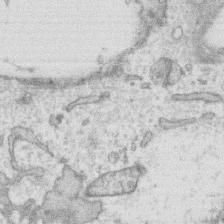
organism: Human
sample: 1205lu cells